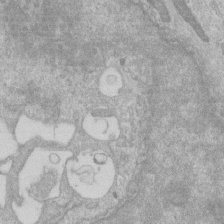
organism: Human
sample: Centriole in RPE cells